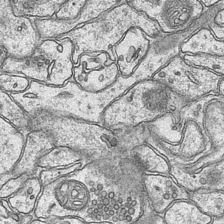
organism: Mouse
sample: CA1 Hippocampus